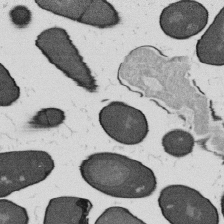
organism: B. subtilis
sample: Bacterial spore